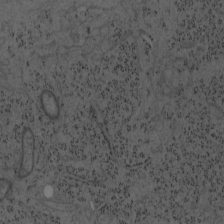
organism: Mouse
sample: OT-I killer T cells with ID8 ovarian cancer cells